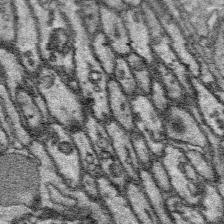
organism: Platynereis dumerilii